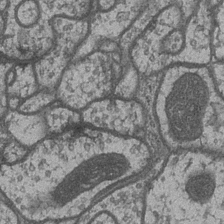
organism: Drosophila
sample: Optic medulla